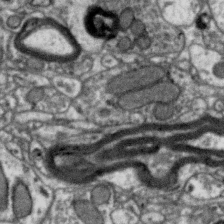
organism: Zebra finch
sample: Brain